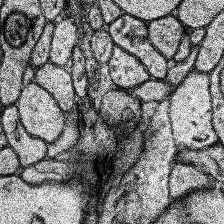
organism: Human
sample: Temporal Lobe